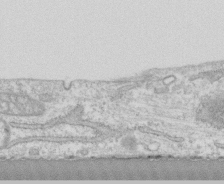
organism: Human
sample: CRL-1474